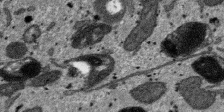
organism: Human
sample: Lung epithelial cells, uninfected (mock) control